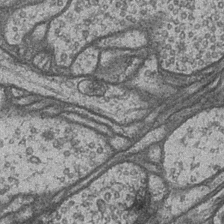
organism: Drosophila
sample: Optic medulla